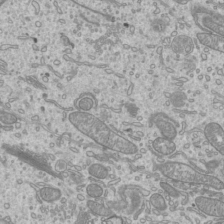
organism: Mouse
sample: Cilia; mouse epididymis